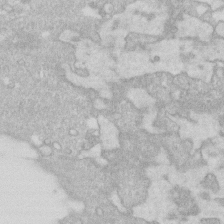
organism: Human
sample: Fibroblast cells